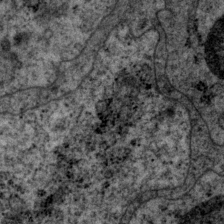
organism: P. pacificus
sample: Pharynx